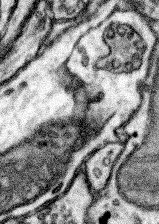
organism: Mouse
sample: Somatosensory cortex neuropil